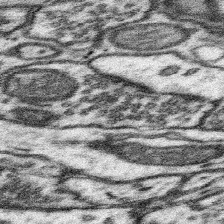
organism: Mouse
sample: Somatosensory cortex neuropil